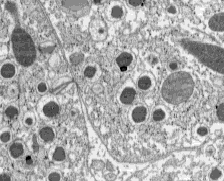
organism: C57BL Mouse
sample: Pancreatic islet